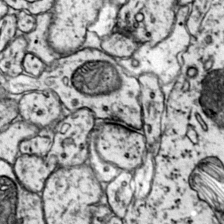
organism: Mouse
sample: Primary visual cortex